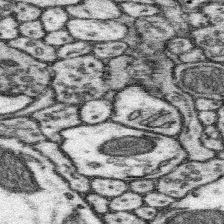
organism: Mouse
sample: Somatosensory cortex neuropil